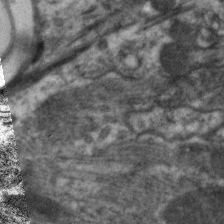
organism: C. elegans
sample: Pharynx